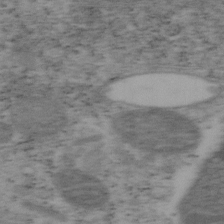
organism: Mouse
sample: OT-I killer T cells with ID8 ovarian cancer cells